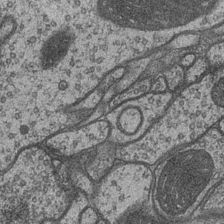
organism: Drosophila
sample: Optic medulla